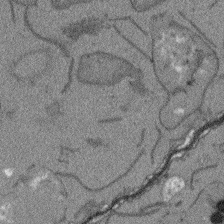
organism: Arabidopsis thaliana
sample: Root tip